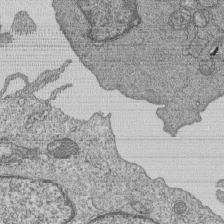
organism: Human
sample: MDA-MB-231 cells